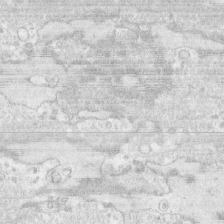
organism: Human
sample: CRL-1474